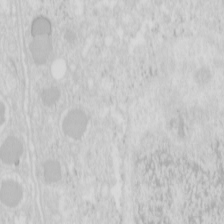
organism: Mouse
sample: Pancreas